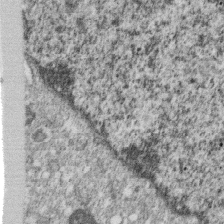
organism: African green monkey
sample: Vero E6 cells infected with SARS-CoV-2